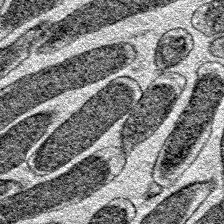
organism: E. coli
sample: E. Coli Bacteria